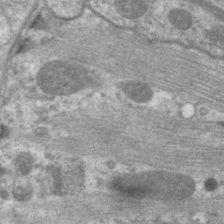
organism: C. elegans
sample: Pharynx